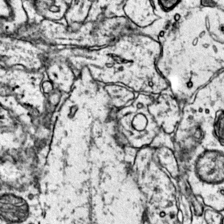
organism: Mouse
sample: Primary visual cortex